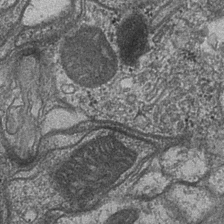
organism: Drosophila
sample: Optic medulla